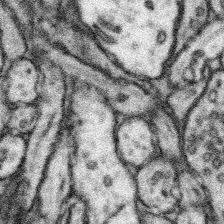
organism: Mouse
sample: Somatosensory cortex neuropil